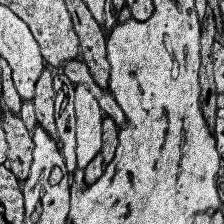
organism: Human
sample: Temporal Lobe